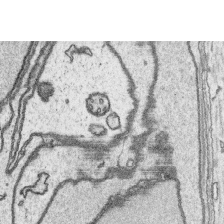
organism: Platynereis dumerilii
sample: Parapodia